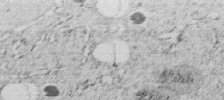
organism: C. elegans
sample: C. elegans embryo early stage